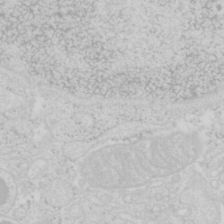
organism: Mouse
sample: Pancreas